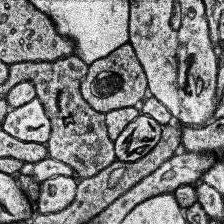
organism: Human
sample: Temporal Lobe